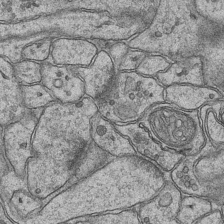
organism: Mouse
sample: CA1 Hippocampus